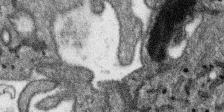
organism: Human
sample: Lung epithelial cells infected with SARS-CoV-2